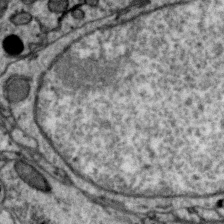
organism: Zebra finch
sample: Brain